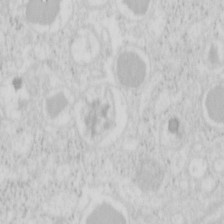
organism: Mouse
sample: Pancreas